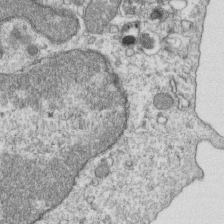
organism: Mouse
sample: Activated OT-1 CD8+ T cells